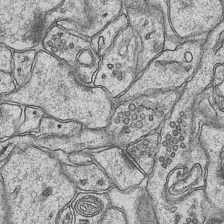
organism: Mouse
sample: CA1 Hippocampus